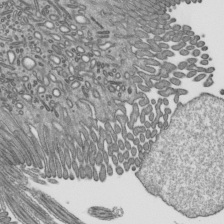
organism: Mouse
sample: Mouse epididymis efferent ductule cilia